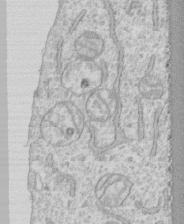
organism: Human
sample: CRL-1474